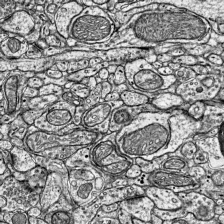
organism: Mouse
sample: Visual Cortex